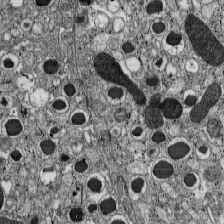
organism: C57BL Mouse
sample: Pancreatic islet